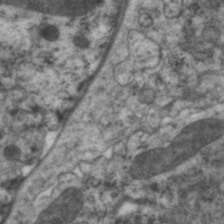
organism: C. elegans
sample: Pharynx